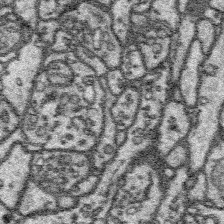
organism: Platynereis dumerilii